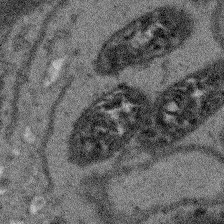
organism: Arabidopsis thaliana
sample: Root tip